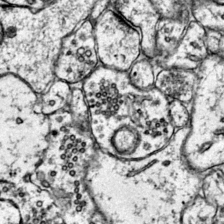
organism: Mouse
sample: Primary visual cortex